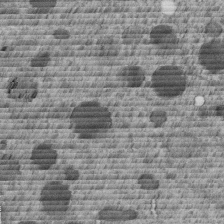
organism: C. elegans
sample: C. elegans embryo early stage